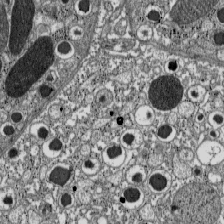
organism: C57BL Mouse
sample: Pancreatic islet